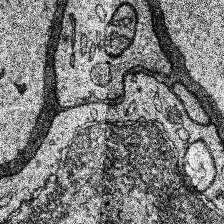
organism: Human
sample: Temporal Lobe